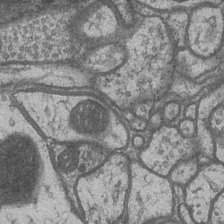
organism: Drosophila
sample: Optic medulla